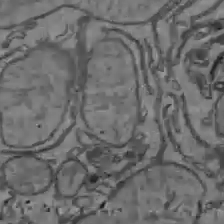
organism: C57BL Mouse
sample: Liver